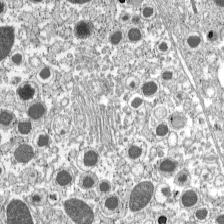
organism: C57BL Mouse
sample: Pancreatic islet